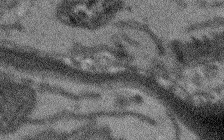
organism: Arabidopsis thaliana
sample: Root tip